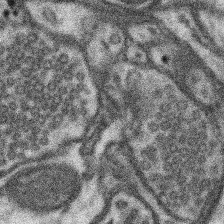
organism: Mouse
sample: Somatosensory cortex neuropil